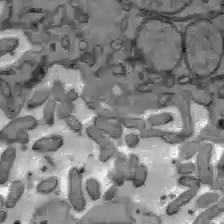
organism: C57BL Mouse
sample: Liver